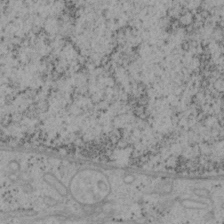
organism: Human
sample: HeLa cells